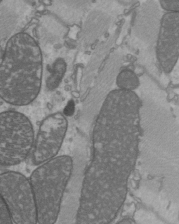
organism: C57BL Mouse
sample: Heart